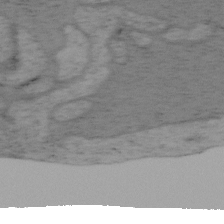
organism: Mouse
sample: OT-I killer T cells with ID8 ovarian cancer cells